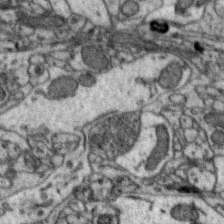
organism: Zebra finch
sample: Brain